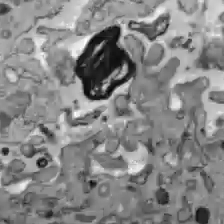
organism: C57BL Mouse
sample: Liver